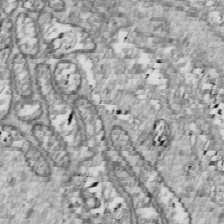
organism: Drosophila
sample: Cell division; meiosis; drosophila spermatocytes